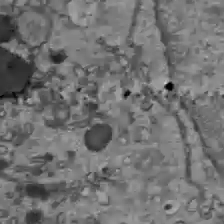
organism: C57BL Mouse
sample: Liver